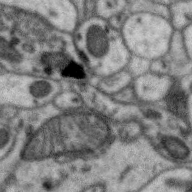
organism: Zebra finch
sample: Brain